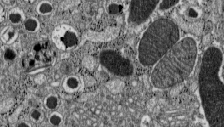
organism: C57BL Mouse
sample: Pancreatic islet